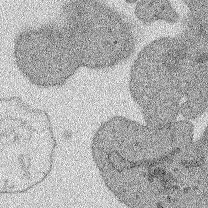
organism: Human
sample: HeLa cells